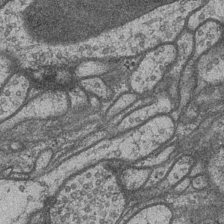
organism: Drosophila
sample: Optic medulla